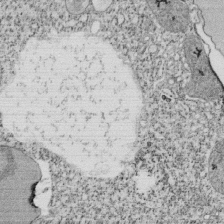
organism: Tetrahymena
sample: Cilia in tetrahymena